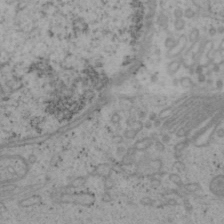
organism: Human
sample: HeLa cells